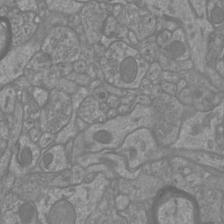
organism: Mouse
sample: Cortical neurons